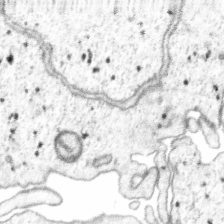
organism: Human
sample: HeLa cells